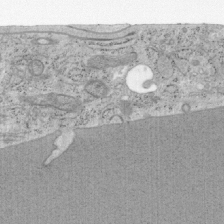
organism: Human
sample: HeLa cells